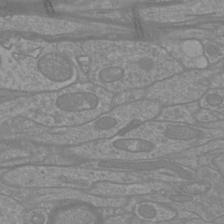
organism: Mouse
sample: Cortical neurons